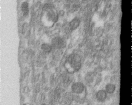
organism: Human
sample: Centriole in RPE cells